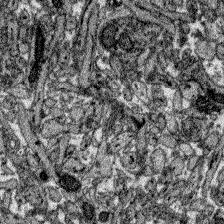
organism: Zebrafish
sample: Larval olfactory bulb